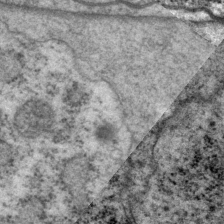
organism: P. pacificus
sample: Pharynx